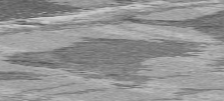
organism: C57BL Mouse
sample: Heart